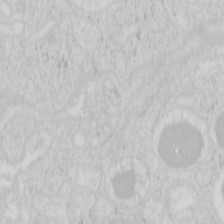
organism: Mouse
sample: Pancreas